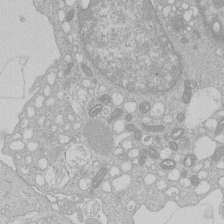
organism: Human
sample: Macrophage cells